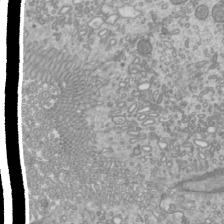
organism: Mouse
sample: Cilia; mouse epididymis